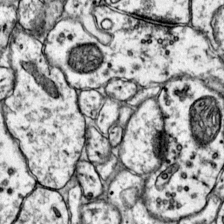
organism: Mouse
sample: Primary visual cortex